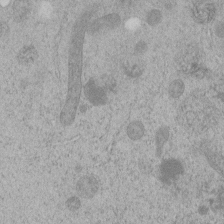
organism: C. elegans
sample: C. elegans embryo early stage